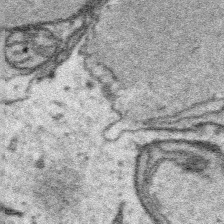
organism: Platynereis dumerilii